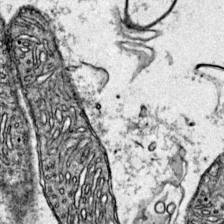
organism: Mouse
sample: Primary visual cortex